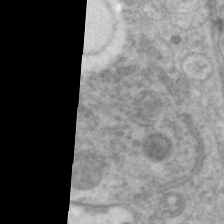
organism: C. elegans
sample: Pharynx